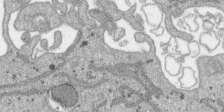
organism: Human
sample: Lung epithelial cells infected with SARS-CoV-2